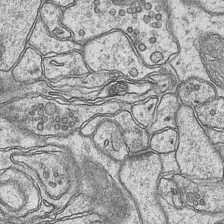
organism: Mouse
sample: CA1 Hippocampus